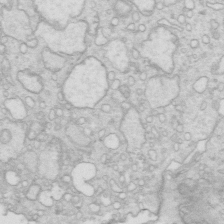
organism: Mouse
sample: Multiciliated cells